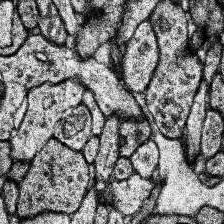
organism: Human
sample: Temporal Lobe